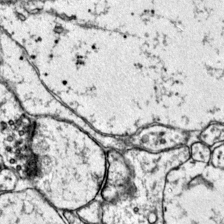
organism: Mouse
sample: Primary visual cortex